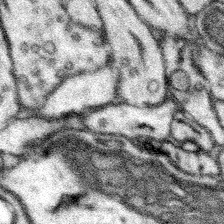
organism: Mouse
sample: Somatosensory cortex neuropil